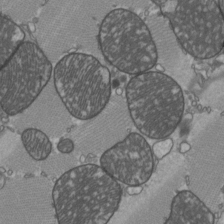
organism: C57BL Mouse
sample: Heart